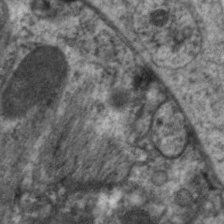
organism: C. elegans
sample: Pharynx